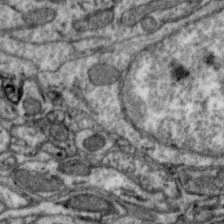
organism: Zebra finch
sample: Brain